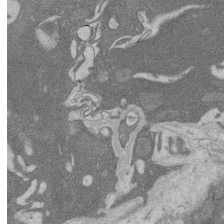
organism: Rat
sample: Salivary granule